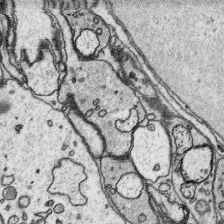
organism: Platynereis dumerilii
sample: Parapodia